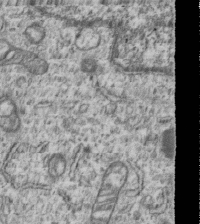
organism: Human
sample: MDA-MB-231 cells